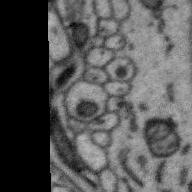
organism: Zebra finch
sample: Brain